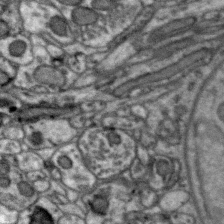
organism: Zebra finch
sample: Brain